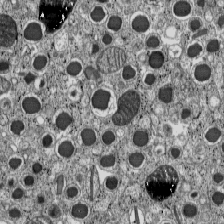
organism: C57BL Mouse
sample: Pancreatic islet